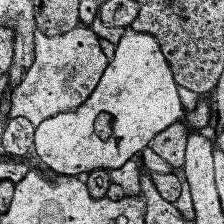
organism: Human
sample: Temporal Lobe